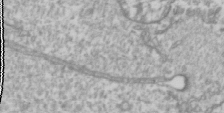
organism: Drosophila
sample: Cell division; meiosis; drosophila spermatocytes